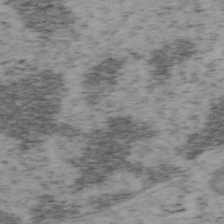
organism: Mouse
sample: OT-I killer T cells with ID8 ovarian cancer cells